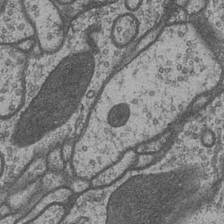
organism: Drosophila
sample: Optic medulla